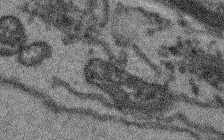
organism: Arabidopsis thaliana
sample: Root tip